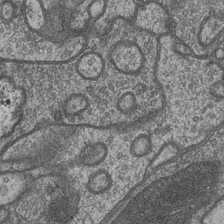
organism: Drosophila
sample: Optic medulla